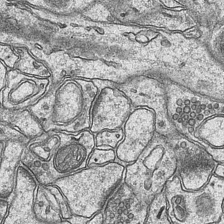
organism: Mouse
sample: CA1 Hippocampus